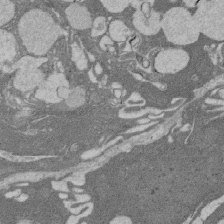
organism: Rat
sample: Salivary granule